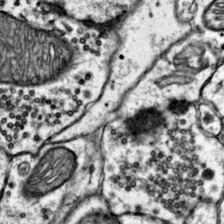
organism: Mouse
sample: Primary visual cortex